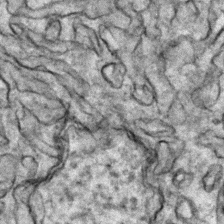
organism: Zebrafish